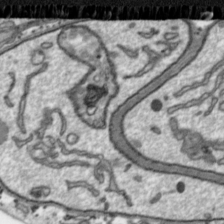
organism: Toxoplasma gondii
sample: Parasites in a vacuole inside a host cell